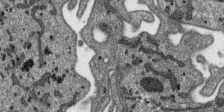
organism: Human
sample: Lung epithelial cells infected with SARS-CoV-2